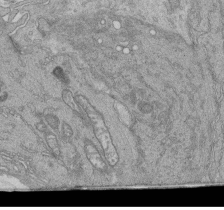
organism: Human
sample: Retinal organoid Rod and Cone cells